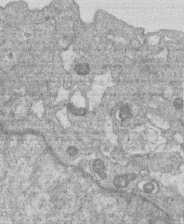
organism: Human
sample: Macrophage cells